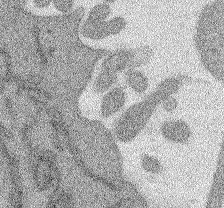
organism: Human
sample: HeLa cells